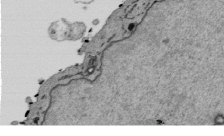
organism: Mouse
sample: ED-1 cell nuclei; centrioles